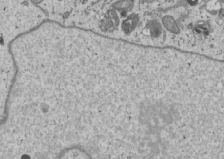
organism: Human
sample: Mitochondria in U2OS cells